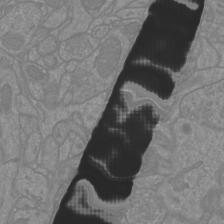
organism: Mouse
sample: Cortical neurons